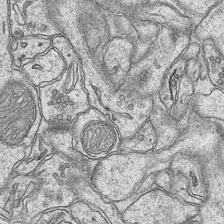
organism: Mouse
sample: CA1 Hippocampus